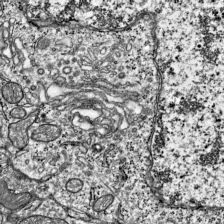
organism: Mouse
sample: Visual Cortex